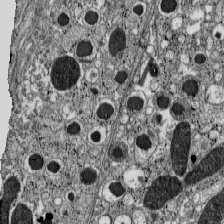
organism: C57BL Mouse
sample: Pancreatic islet